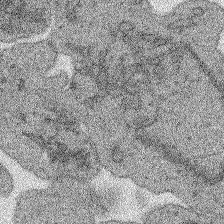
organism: Human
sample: HeLa cells